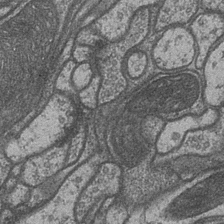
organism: Drosophila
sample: Optic medulla